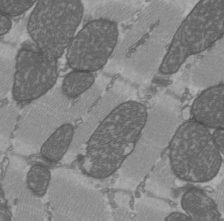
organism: C57BL Mouse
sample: Heart